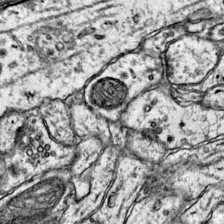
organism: Mouse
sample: Primary visual cortex